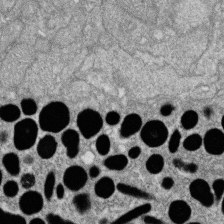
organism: Zebrafish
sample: Cilia; retinal pigment epithelium